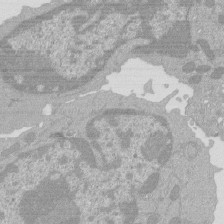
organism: Mouse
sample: Activated Pmel transgenic CD8+ T Cells